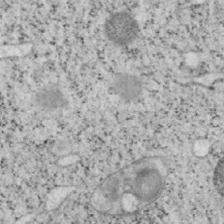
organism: Mouse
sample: OT-I killer T cells with ID8 ovarian cancer cells